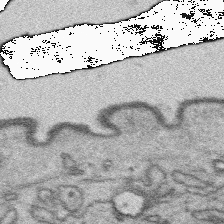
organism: Platynereis dumerilii